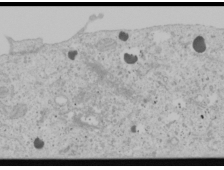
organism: Human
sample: Mitochondria in U2OS cells